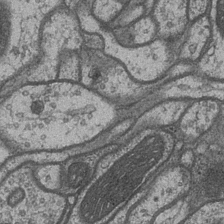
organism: Drosophila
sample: Optic medulla